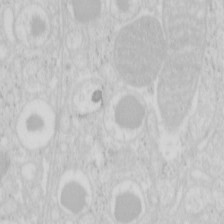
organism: Mouse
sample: Pancreas